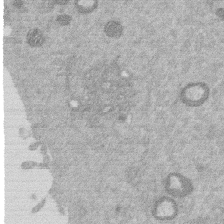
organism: Mouse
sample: Dividing mouse embryo 1 cell stage